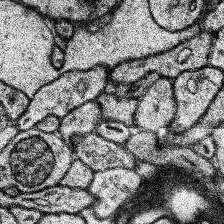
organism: Human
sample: Temporal Lobe